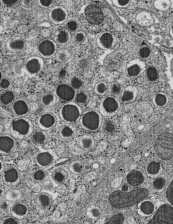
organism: C57BL Mouse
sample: Pancreatic islet